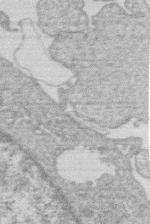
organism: Human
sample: Macrophage cells